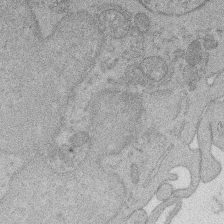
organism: Rat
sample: Salivary granule